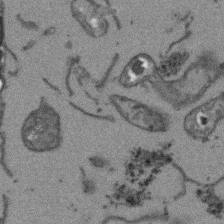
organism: Arabidopsis thaliana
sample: Root tip